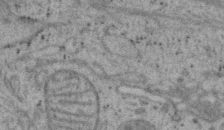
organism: Human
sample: HeLa cells